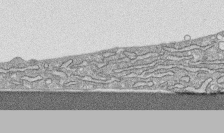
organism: Human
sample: CRL-1474